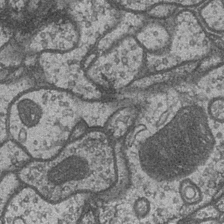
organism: Drosophila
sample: Optic medulla